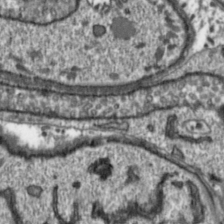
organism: Toxoplasma gondii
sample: Parasites in a vacuole inside a host cell